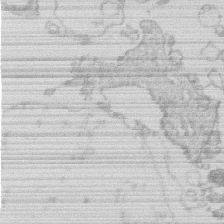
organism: Human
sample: Macrophage cells